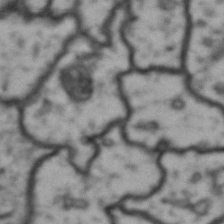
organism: Drosophila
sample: Brain